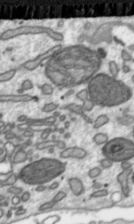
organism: Toxoplasma gondii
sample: Parasites in a vacuole inside a host cell